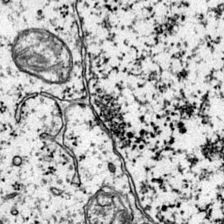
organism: Mouse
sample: Primary visual cortex